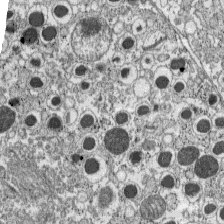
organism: C57BL Mouse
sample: Pancreatic islet